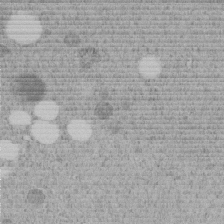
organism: C. elegans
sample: C. elegans embryo early stage